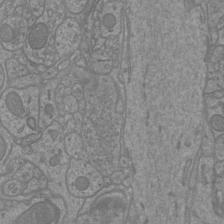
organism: Mouse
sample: Cortical neurons